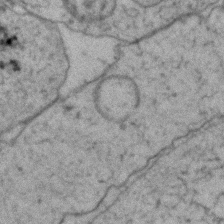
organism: Zebrafish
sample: Zebrafish embryo